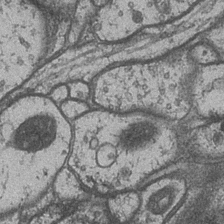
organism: Drosophila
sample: Optic medulla